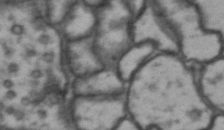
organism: Drosophila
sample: Brain